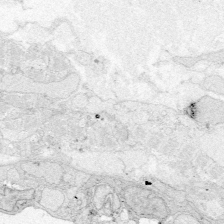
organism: Zebrafish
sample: Whole-Brain